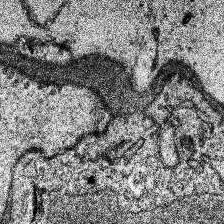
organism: Human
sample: Temporal Lobe